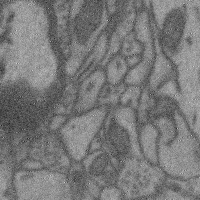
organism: Mouse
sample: Cerebral cortex